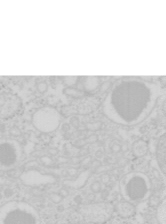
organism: Mouse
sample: Pancreas